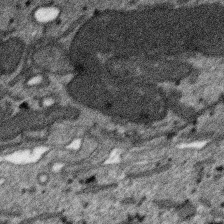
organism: Human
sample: Lung epithelial cells infected with SARS-CoV-2